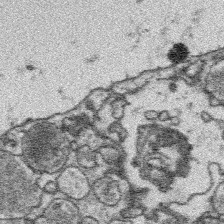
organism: Platynereis dumerilii